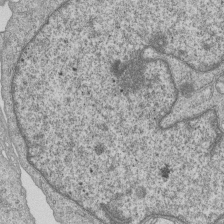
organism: Human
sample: MDA-MB-231 cells